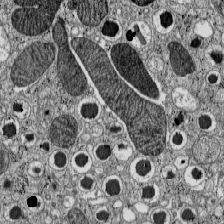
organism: C57BL Mouse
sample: Pancreatic islet